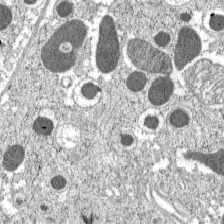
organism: C57BL Mouse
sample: Pancreatic islet